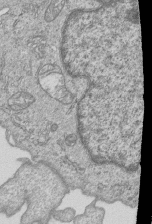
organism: Human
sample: MDA-MB-231 cells